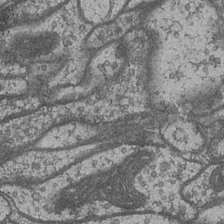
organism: Drosophila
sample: Optic medulla